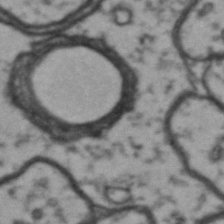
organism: Drosophila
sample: Brain